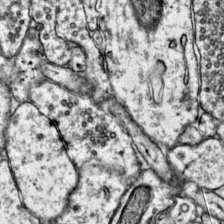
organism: Mouse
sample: Primary visual cortex